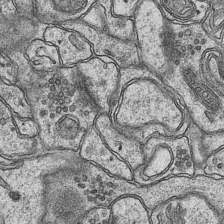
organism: Mouse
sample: CA1 Hippocampus